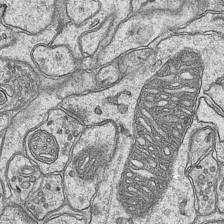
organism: Mouse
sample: CA1 Hippocampus